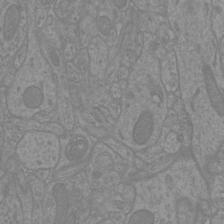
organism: Mouse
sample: Cortical neurons